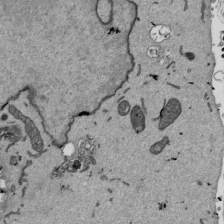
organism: Mouse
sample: ED-1 cell nuclei; centrioles